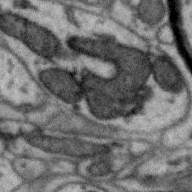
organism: Zebra finch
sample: Brain